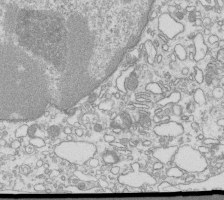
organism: Mouse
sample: Macrophages